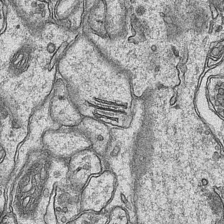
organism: Mouse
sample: CA1 Hippocampus